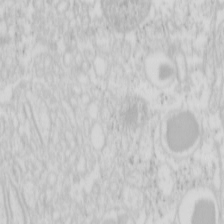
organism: Mouse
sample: Pancreas